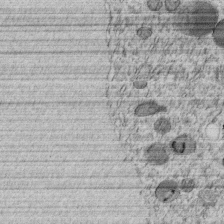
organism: C. elegans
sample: C. elegans embryo early stage